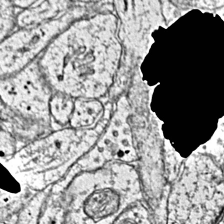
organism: Mouse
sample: Primary visual cortex